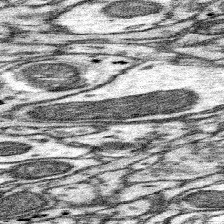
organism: Mouse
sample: Somatosensory cortex neuropil